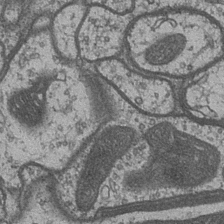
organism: Drosophila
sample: Optic medulla